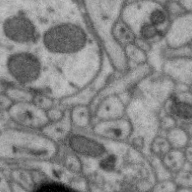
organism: Zebra finch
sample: Brain